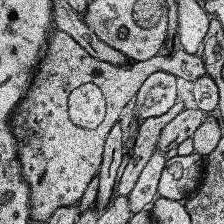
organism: Human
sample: Temporal Lobe